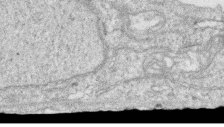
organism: Human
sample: HeLa cell HIV synapse